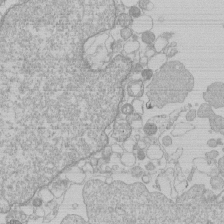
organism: Human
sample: Macrophage cells